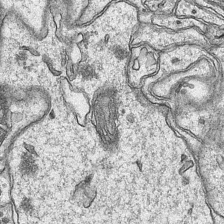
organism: Mouse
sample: CA1 Hippocampus